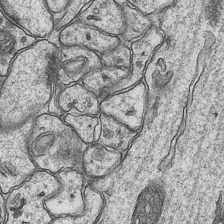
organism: Mouse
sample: CA1 Hippocampus